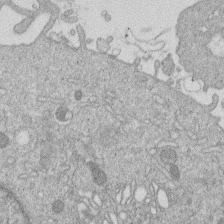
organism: Human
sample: Macrophage cells